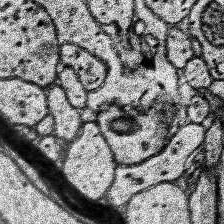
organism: Human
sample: Temporal Lobe